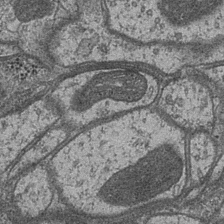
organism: Drosophila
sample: Optic medulla